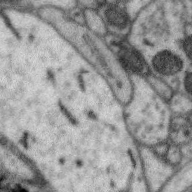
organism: Zebra finch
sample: Brain